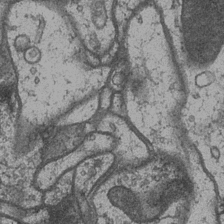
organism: Drosophila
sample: Optic medulla